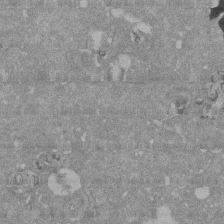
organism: Mouse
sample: ED-1 cell nuclei; centrioles